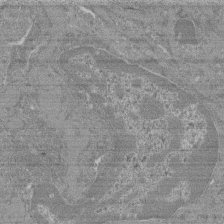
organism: Mouse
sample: Glomerulus